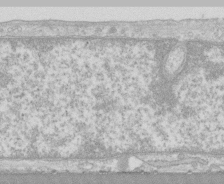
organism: Human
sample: CRL-1474